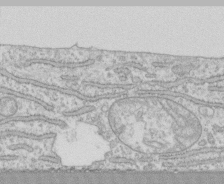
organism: Human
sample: CRL-1474